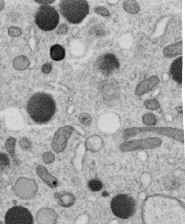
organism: C. elegans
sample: C. elegans oocyte; sperm cells